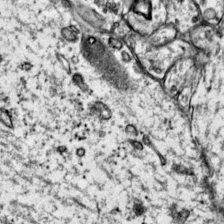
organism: Mouse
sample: Primary visual cortex